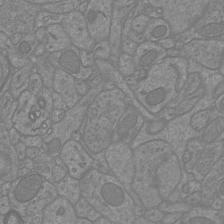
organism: Mouse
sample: Cortical neurons